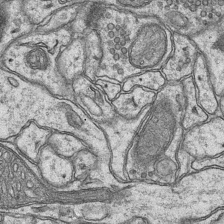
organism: Mouse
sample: CA1 Hippocampus